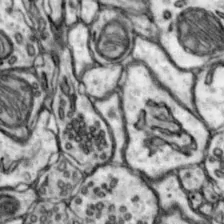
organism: Mouse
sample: Nucleus accumbens